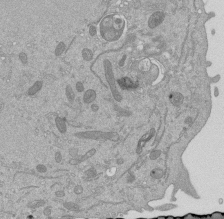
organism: Mouse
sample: ED-1 cell nuclei; centrioles